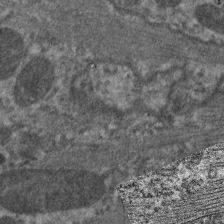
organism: C. elegans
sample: Pharynx